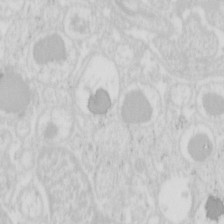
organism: Mouse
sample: Pancreas